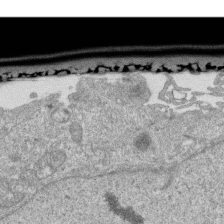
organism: Human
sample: HeLa cell HIV synapse